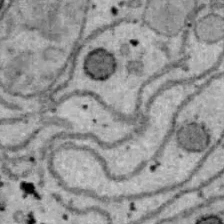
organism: Mouse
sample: Liver from an obese (ob/ob) mouse